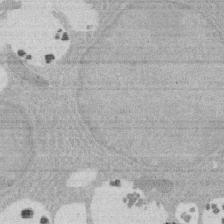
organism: Rat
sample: Salivary granule